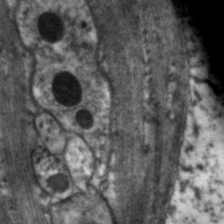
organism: C. elegans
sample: Pharynx